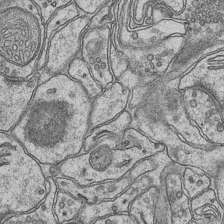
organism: Mouse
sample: CA1 Hippocampus